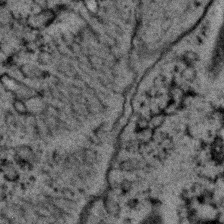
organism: C. elegans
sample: C. elegans embryo